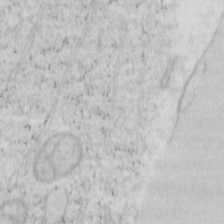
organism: Human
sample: HeLa cells